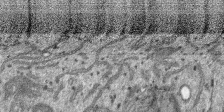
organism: Human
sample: Lung epithelial cells infected with SARS-CoV-2